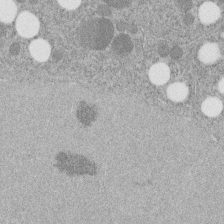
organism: C. elegans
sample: C. elegans embryo early stage